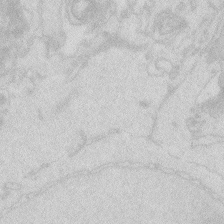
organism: Zebrafish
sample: Macrophage